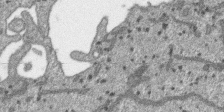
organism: Human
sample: Lung epithelial cells infected with SARS-CoV-2